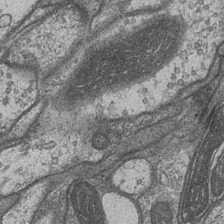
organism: Drosophila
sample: Optic medulla